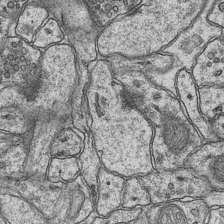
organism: Mouse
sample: CA1 Hippocampus